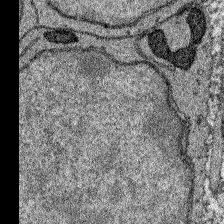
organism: Zebrafish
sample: Larval olfactory bulb